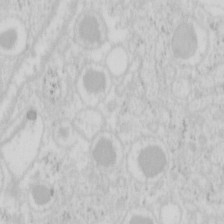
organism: Mouse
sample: Pancreas